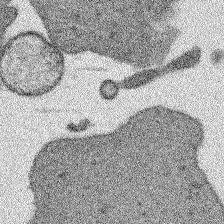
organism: Human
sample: HeLa cells